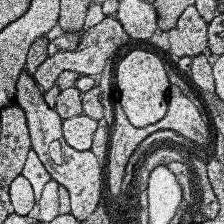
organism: Human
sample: Temporal Lobe